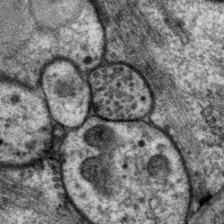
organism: P. pacificus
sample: Pharynx